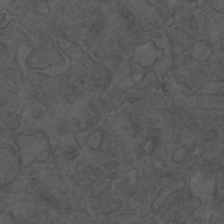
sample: Trachea